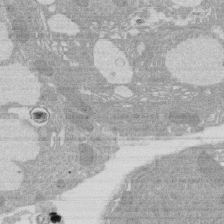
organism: Rat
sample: Salivary granule